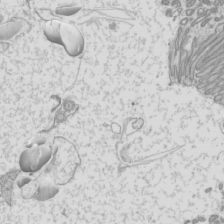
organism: Mouse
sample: Cilia; mouse epididymis